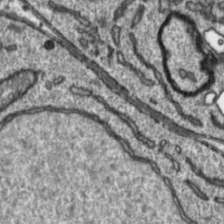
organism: Toxoplasma gondii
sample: Parasites in a vacuole inside a host cell